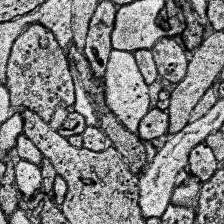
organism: Human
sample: Temporal Lobe